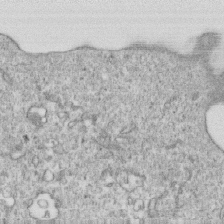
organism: Mouse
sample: Activated OT-1 CD8+ T cells